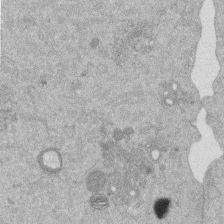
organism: Mouse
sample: Dividing mouse embryo 1 cell stage